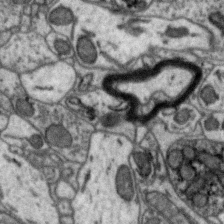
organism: Zebra finch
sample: Brain